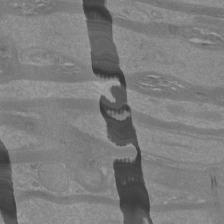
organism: Mouse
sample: Cortical neurons